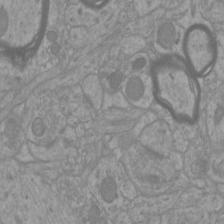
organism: Mouse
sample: Cortical neurons